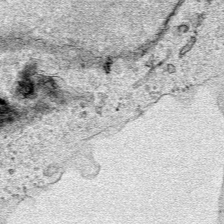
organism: Human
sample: Mitochondria in HCT116 cells